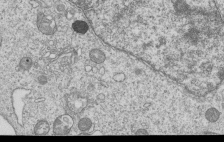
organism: Human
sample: MDA-MB-231 cells